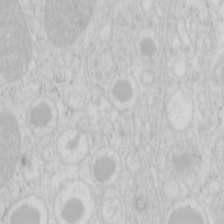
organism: Mouse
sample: Pancreas